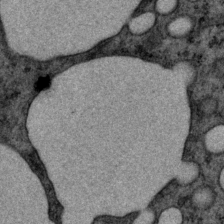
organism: P. pacificus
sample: Pharynx